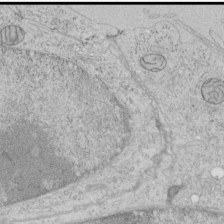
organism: Human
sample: Mitochondria in HCT116 cells